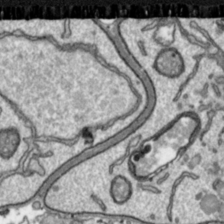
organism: Toxoplasma gondii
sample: Parasites in a vacuole inside a host cell